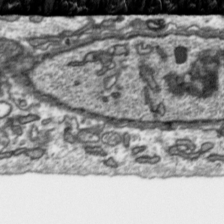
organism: Toxoplasma gondii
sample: Parasites in a vacuole inside a host cell